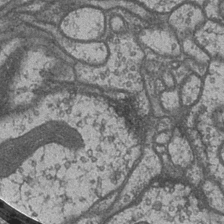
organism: Drosophila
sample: Optic medulla